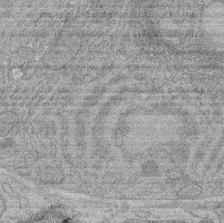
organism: Rat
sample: Salivary granule